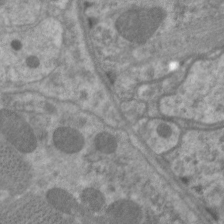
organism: C. elegans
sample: Pharynx